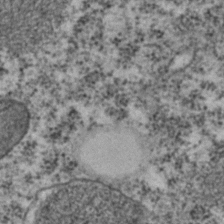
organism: C. elegans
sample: C. elegans embryo